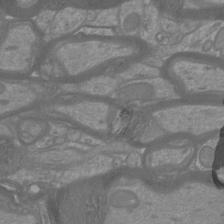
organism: Mouse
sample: Cortical neurons